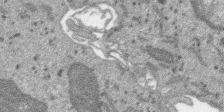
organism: Human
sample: Lung epithelial cells infected with SARS-CoV-2